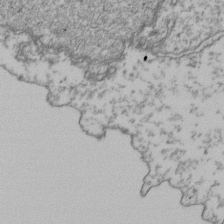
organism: Human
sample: Activated Jurkat CD4+ T cells